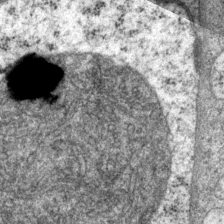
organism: P. pacificus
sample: Pharynx